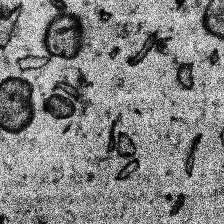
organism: Human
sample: Temporal Lobe